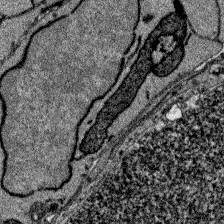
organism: Zebrafish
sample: Larval olfactory bulb